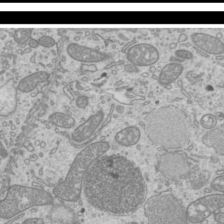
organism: Mouse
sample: Cilia; mouse epididymis